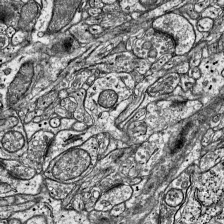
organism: Mouse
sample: Visual Cortex